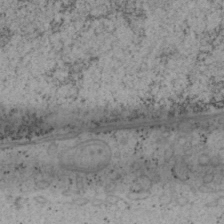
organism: Human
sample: HeLa cells